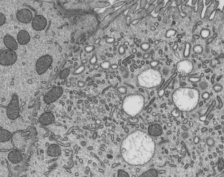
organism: Mouse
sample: Mouse epididymis efferent ductule cilia